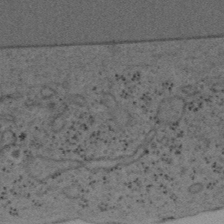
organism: Human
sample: HeLa cells